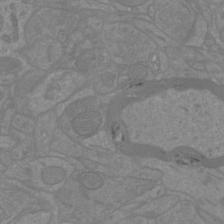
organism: Mouse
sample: Cortical neurons